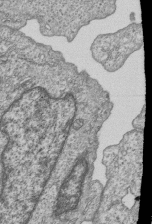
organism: Human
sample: MDA-MB-231 cells